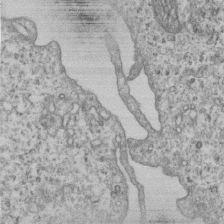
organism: Human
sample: MDA-MB-231 cells